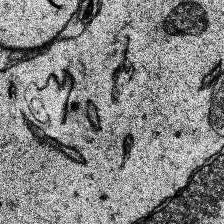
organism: Human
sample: Temporal Lobe